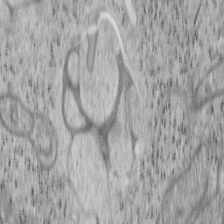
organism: Human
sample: HeLa cells